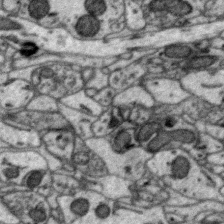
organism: Zebra finch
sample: Brain